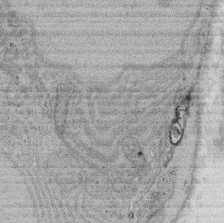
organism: Rat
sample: Salivary granule